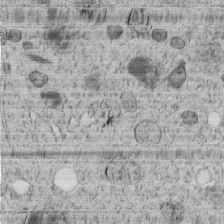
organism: C. elegans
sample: C. elegans embryo early stage